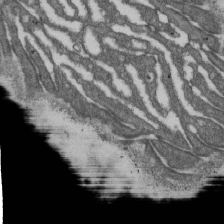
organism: Drosophila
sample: Nephrocyte